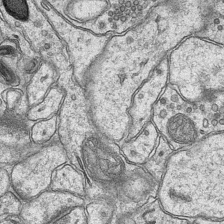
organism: Mouse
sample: CA1 Hippocampus